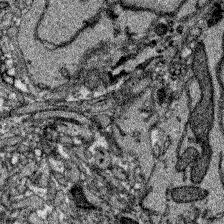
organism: Zebrafish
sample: Larval olfactory bulb